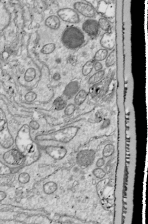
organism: Drosophila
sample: Cell division; meiosis; drosophila spermatocytes